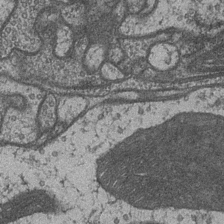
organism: Drosophila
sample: Optic medulla